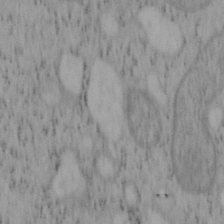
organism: Mouse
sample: OT-I killer T cells with ID8 ovarian cancer cells